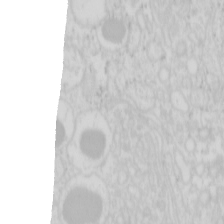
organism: Mouse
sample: Pancreas